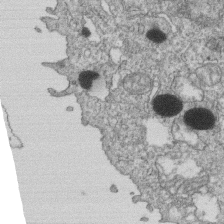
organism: Human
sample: HeLa cell HIV synapse